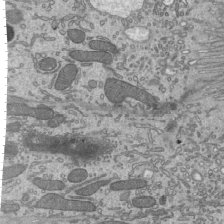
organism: Mouse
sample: Mouse epididymis efferent ductule cilia